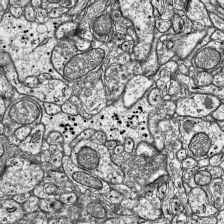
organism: Mouse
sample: Visual Cortex